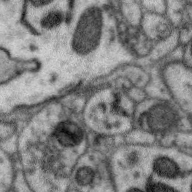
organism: Zebra finch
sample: Brain